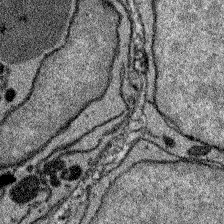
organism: Zebrafish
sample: Larval olfactory bulb